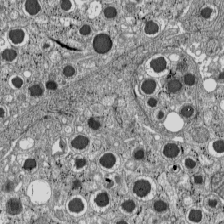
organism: C57BL Mouse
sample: Pancreatic islet